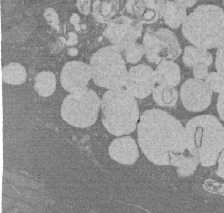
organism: Rat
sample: Salivary granule